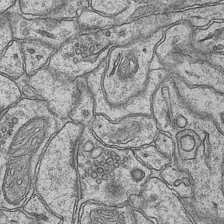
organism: Mouse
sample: CA1 Hippocampus